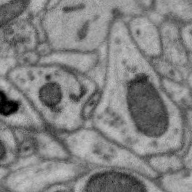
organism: Zebra finch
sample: Brain